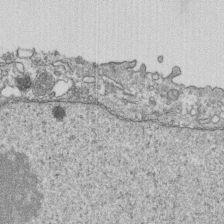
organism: Human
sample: HeLa cell HIV synapse